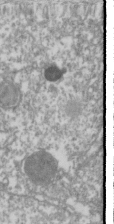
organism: Drosophila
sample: Cell division; meiosis; drosophila spermatocytes